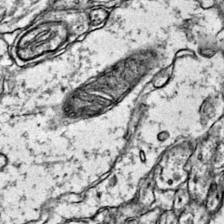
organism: Mouse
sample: Primary visual cortex